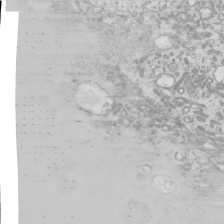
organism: Mouse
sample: Cilia; mouse epididymis